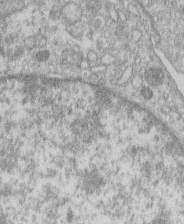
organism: Human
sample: Macrophage cells